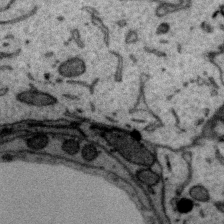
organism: Zebra finch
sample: Brain